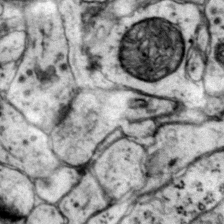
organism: Mouse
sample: Primary visual cortex